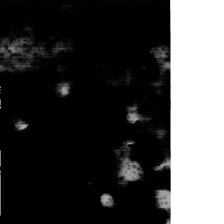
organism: C. elegans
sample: C. elegans oocyte; sperm cells